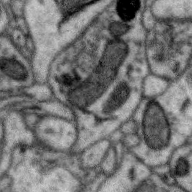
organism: Zebra finch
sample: Brain